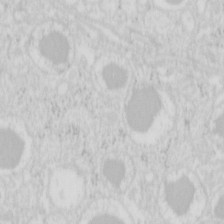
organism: Mouse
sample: Pancreas